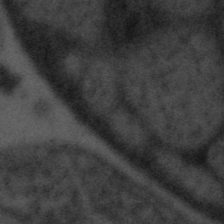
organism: Tuwongella immobilis